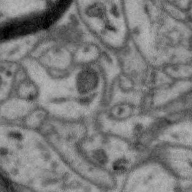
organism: Zebra finch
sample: Brain